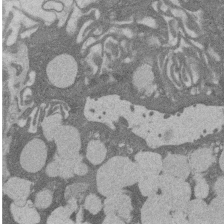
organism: Rat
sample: Salivary granule